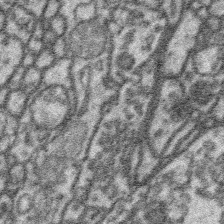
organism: Platynereis dumerilii